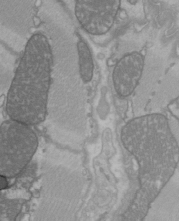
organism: C57BL Mouse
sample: Heart